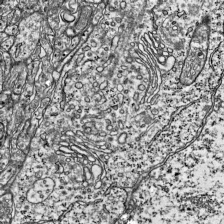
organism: Mouse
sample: Visual Cortex